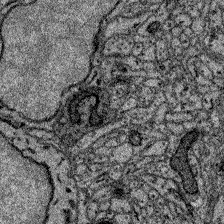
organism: Zebrafish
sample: Larval olfactory bulb